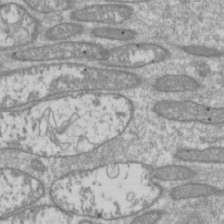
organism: Drosophila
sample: Cell division; meiosis; drosophila spermatocytes